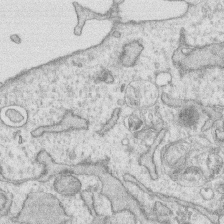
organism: Human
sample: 1205lu cells